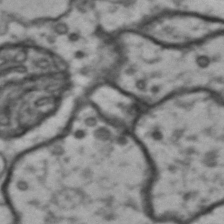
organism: Drosophila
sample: Brain